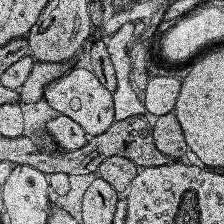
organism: Human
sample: Temporal Lobe